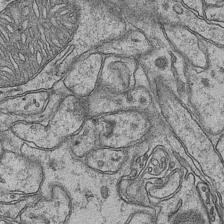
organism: Mouse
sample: CA1 Hippocampus